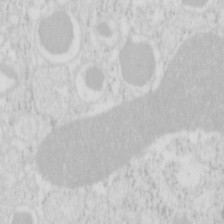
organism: Mouse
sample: Pancreas